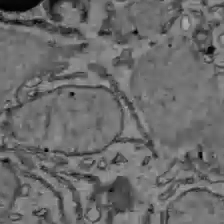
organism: C57BL Mouse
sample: Liver